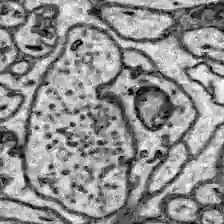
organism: Zebrafish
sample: Brain